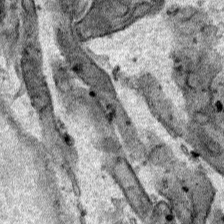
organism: Human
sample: Mitochondria in HCT116 cells